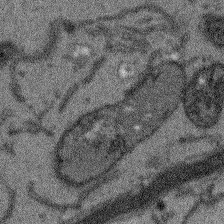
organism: Arabidopsis thaliana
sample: Root tip